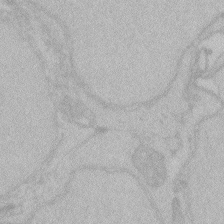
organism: Zebrafish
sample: Macrophage infected with Toxoplasma gondii